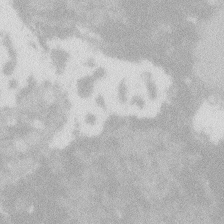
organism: Zebrafish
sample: Macrophage